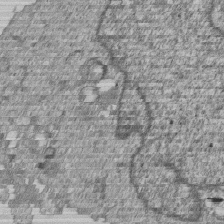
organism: Human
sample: MDA-MB-231 cells